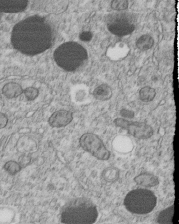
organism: C. elegans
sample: C. elegans embryo early stage